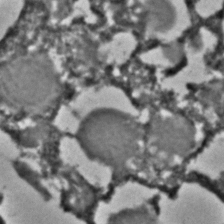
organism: C. elegans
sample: C. elegans embryo